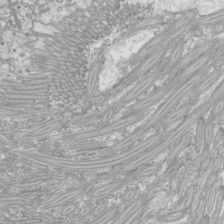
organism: Mouse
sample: Cilia; mouse epididymis